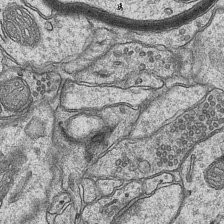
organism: Mouse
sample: CA1 Hippocampus